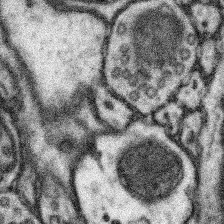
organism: Mouse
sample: Somatosensory cortex neuropil